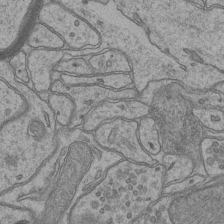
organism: Mouse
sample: CA1 Hippocampus